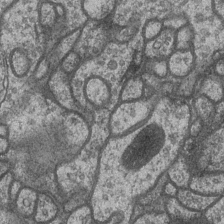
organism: Drosophila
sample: Optic medulla